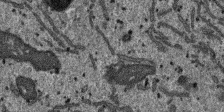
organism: Human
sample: Lung epithelial cells infected with SARS-CoV-2